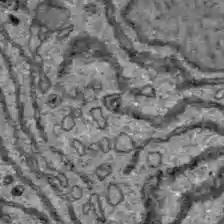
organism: C57BL Mouse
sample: Liver